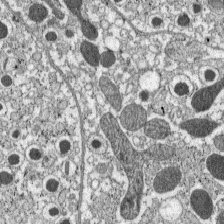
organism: C57BL Mouse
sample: Pancreatic islet